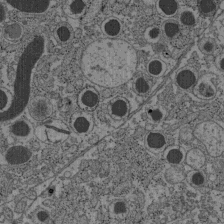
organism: C57BL Mouse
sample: Pancreatic islet